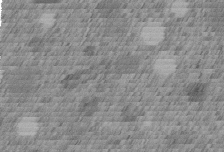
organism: C. elegans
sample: C. elegans embryo early stage